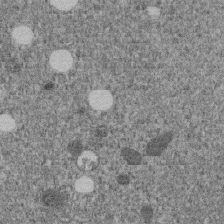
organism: C. elegans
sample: C. elegans embryo early stage